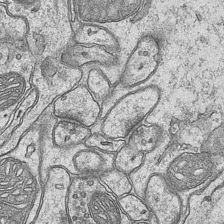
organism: Mouse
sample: CA1 Hippocampus